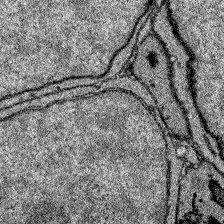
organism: Zebrafish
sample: Larval olfactory bulb